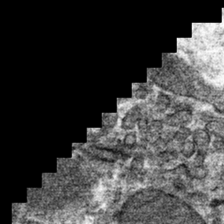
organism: Mouse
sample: Mouse hepatocytes